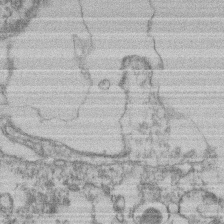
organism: Mouse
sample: T cell stromal cell synapse